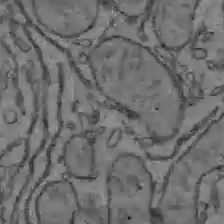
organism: C57BL Mouse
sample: Liver